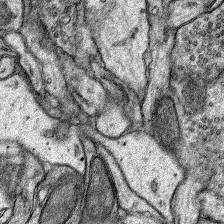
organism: Rat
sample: Hippocampus